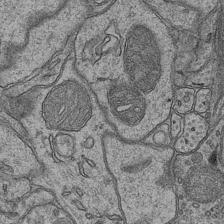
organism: Mouse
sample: CA1 Hippocampus